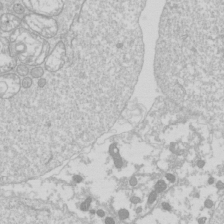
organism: Drosophila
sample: Cell division; meiosis; drosophila spermatocytes